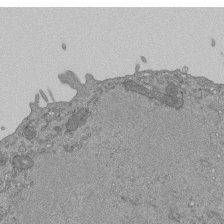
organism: Mouse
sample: ED-1 cell nuclei; centrioles